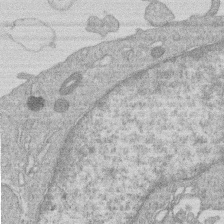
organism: Human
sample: Macrophage cells